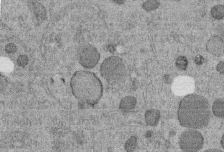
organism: C. elegans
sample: C. elegans embryo early stage